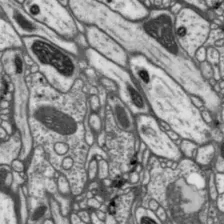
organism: Drosophila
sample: Protocerebral bridge